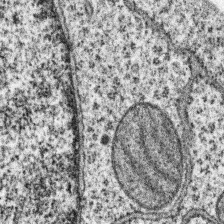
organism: Human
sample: HeLa cells